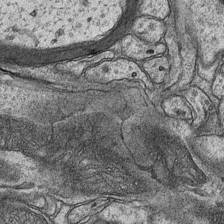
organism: Mouse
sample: CA1 Hippocampus